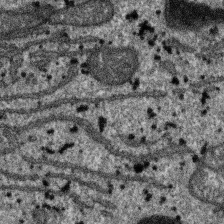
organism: Human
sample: Lung epithelial cells infected with SARS-CoV-2